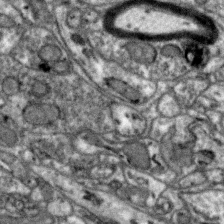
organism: Zebra finch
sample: Brain